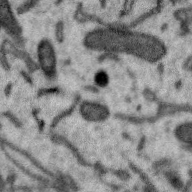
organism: Zebra finch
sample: Brain